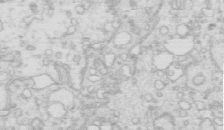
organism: Mouse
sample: Multiciliated cells